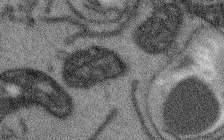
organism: Arabidopsis thaliana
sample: Root tip